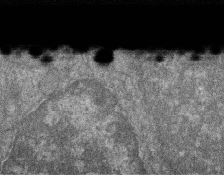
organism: Zebrafish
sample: Cilia; retinal pigment epithelium